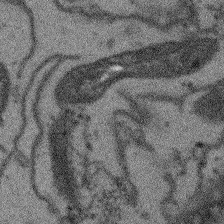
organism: Arabidopsis thaliana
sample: Root tip